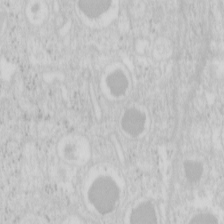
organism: Mouse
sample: Pancreas